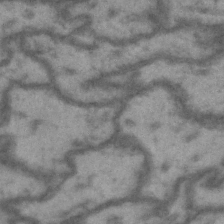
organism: Drosophila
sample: Brain